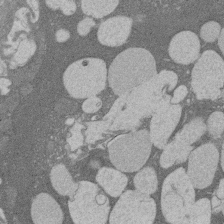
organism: Rat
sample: Salivary granule